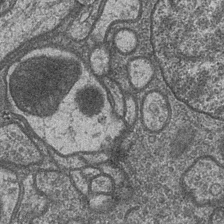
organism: Drosophila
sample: Optic medulla